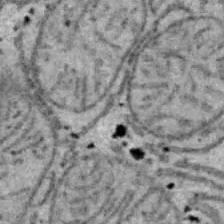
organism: Mouse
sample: Liver from an obese (ob/ob) mouse